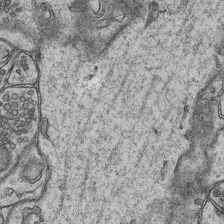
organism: Mouse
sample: CA1 Hippocampus